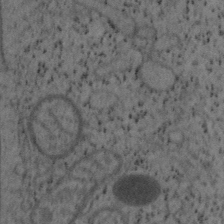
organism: Human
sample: HeLa cells